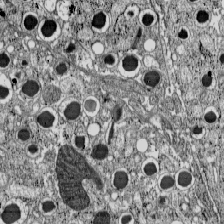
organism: C57BL Mouse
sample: Pancreatic islet